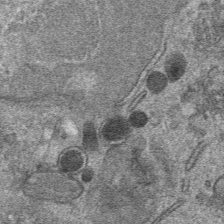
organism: Mouse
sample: Mouse hepatocytes